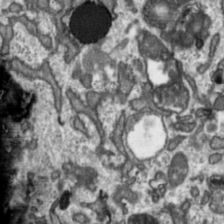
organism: Toxoplasma gondii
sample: Parasites in a vacuole inside a host cell